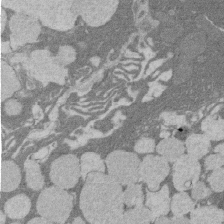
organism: Rat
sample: Salivary granule